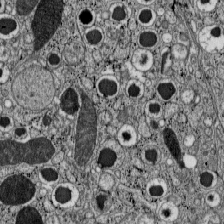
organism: C57BL Mouse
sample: Pancreatic islet